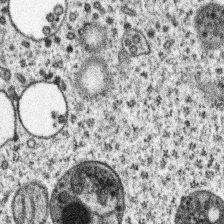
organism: Human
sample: HeLa cells